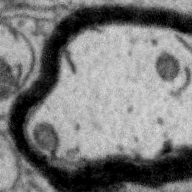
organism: Zebra finch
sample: Brain